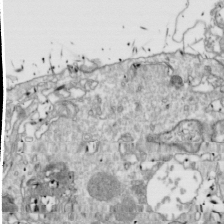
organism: Drosophila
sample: Cell division; meiosis; drosophila spermatocytes